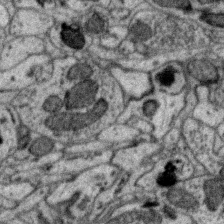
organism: Zebra finch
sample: Brain